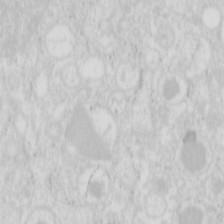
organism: Mouse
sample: Pancreas